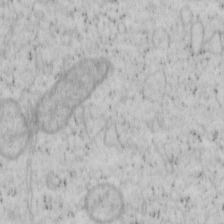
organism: Human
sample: HeLa cells